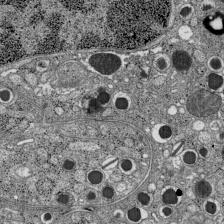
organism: C57BL Mouse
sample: Pancreatic islet